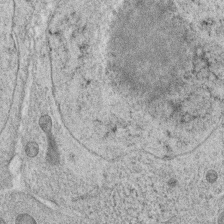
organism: C. elegans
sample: C. elegans oocyte; sperm cells